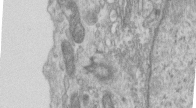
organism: Human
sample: Centriole in RPE cells